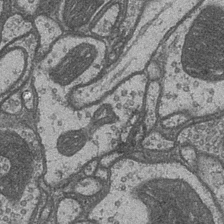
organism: Drosophila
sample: Optic medulla